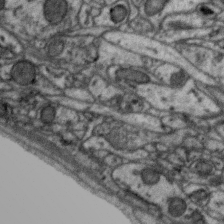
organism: Zebra finch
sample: Brain